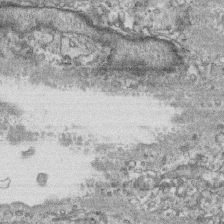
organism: Human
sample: CRL-1474